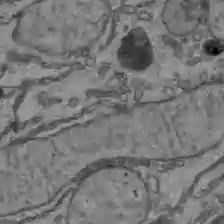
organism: C57BL Mouse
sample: Liver